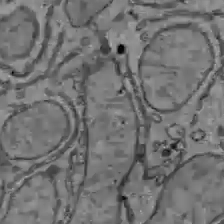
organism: C57BL Mouse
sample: Liver